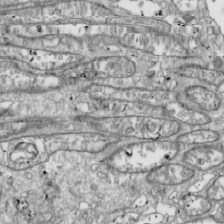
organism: Drosophila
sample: Cell division; meiosis; drosophila spermatocytes